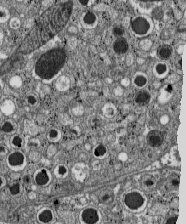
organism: C57BL Mouse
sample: Pancreatic islet